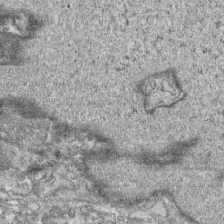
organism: Human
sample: CRL-1474